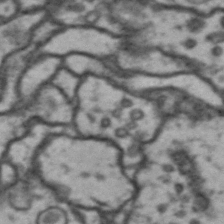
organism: Drosophila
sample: Brain